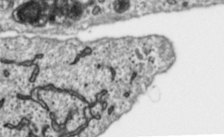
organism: Toxoplasma gondii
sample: Parasites in a vacuole inside a host cell